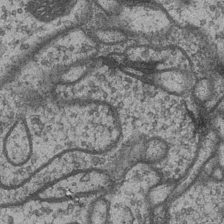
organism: Drosophila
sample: Optic medulla